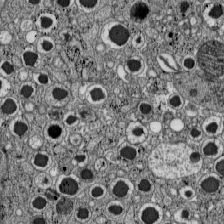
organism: C57BL Mouse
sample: Pancreatic islet